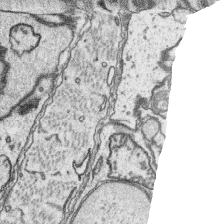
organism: Platynereis dumerilii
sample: Parapodia